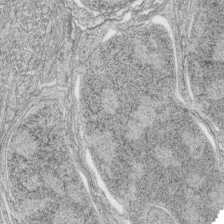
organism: Zebrafish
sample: synaptic ribbons in rod cells and cone cells